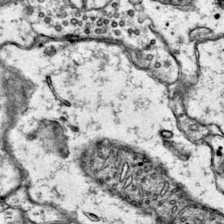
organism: Mouse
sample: Primary visual cortex